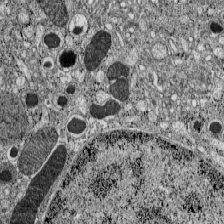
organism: C57BL Mouse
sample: Pancreatic islet